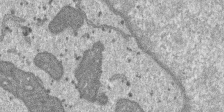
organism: Human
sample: Lung epithelial cells infected with SARS-CoV-2